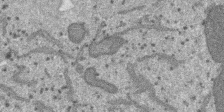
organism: Human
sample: Lung epithelial cells infected with SARS-CoV-2